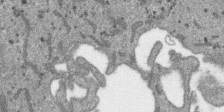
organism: Human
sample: Lung epithelial cells infected with SARS-CoV-2